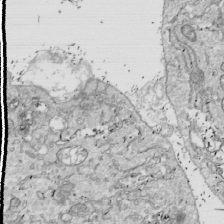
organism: Drosophila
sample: Cell division; meiosis; drosophila spermatocytes